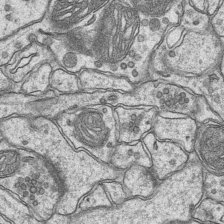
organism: Mouse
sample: CA1 Hippocampus